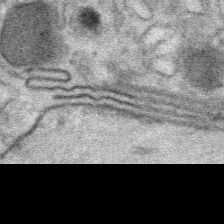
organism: Mouse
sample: Mouse Salivary gland